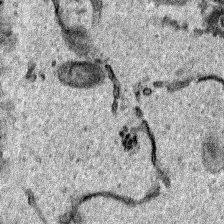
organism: Human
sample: Mitochondria in HCT116 cells